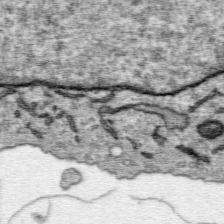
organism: Human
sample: HeLa cells